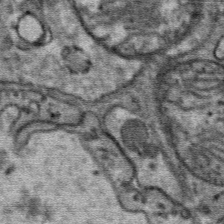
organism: Mouse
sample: Mouse Salivary gland